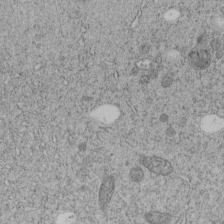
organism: C. elegans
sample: C. elegans embryo early stage